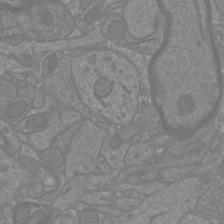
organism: Mouse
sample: Cortical neurons